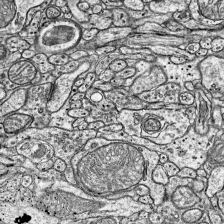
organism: Mouse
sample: Visual Cortex